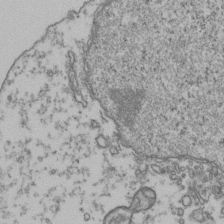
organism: Human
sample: Activated Jurkat CD4+ T cells